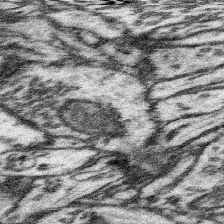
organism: Mouse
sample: Somatosensory cortex neuropil